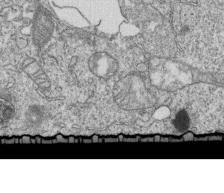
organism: Human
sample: HeLa cell HIV synapse